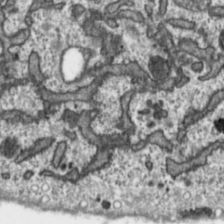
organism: Toxoplasma gondii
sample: Parasites in a vacuole inside a host cell